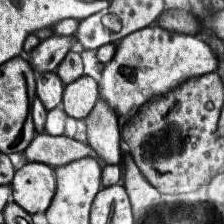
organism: Human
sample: Temporal Lobe